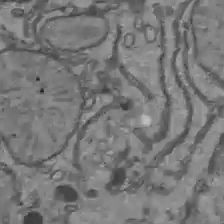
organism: C57BL Mouse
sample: Liver